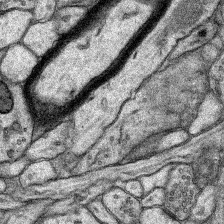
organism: Rat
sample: Hippocampus